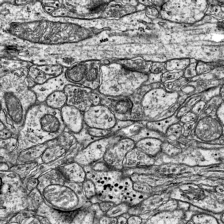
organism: Mouse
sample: Visual Cortex